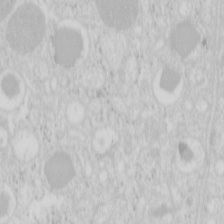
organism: Mouse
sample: Pancreas